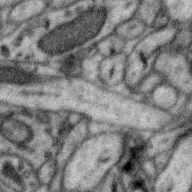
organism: Zebra finch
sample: Brain